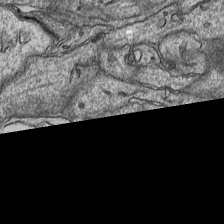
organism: Mouse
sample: CA1 Hippocampus